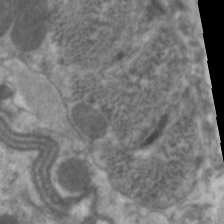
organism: C. elegans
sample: Pharynx